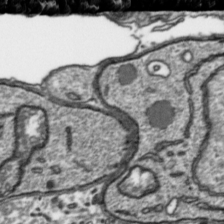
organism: Toxoplasma gondii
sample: Parasites in a vacuole inside a host cell